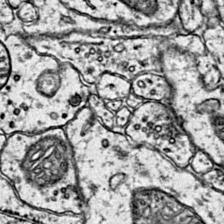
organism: Mouse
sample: Primary visual cortex